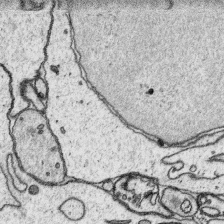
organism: Platynereis dumerilii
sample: Parapodia